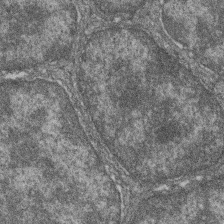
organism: Zebrafish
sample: Cilia; retinal pigment epithelium